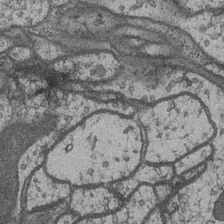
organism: Drosophila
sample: Optic medulla